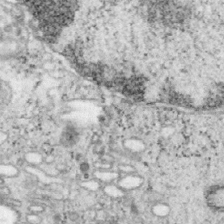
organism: Mouse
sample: OT-I killer T cells with ID8 ovarian cancer cells